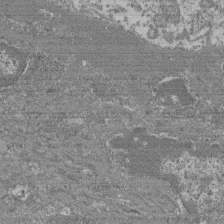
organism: Mouse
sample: Glomerulus